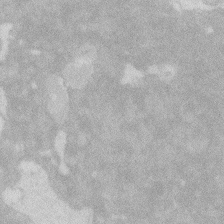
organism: Zebrafish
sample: Macrophage